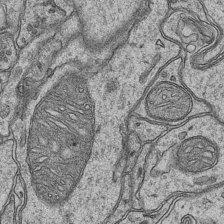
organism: Mouse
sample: CA1 Hippocampus